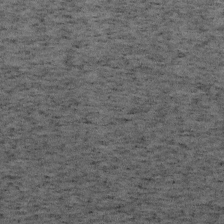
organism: Mouse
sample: OT-I killer T cells with ID8 ovarian cancer cells